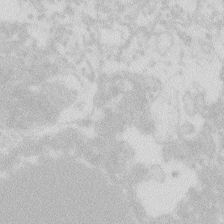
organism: Zebrafish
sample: Macrophage